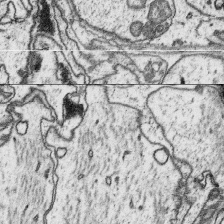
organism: Platynereis dumerilii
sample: Parapodia